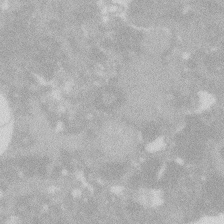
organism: Zebrafish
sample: Macrophage